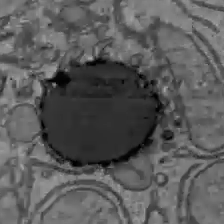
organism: C57BL Mouse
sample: Liver